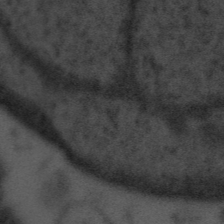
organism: Tuwongella immobilis